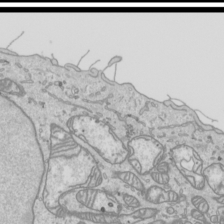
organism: Human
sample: Mitochondria in HCT116 cells